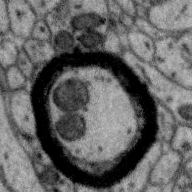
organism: Zebra finch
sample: Brain